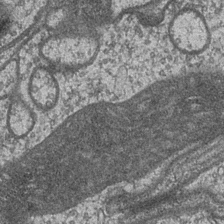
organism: Drosophila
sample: Optic medulla